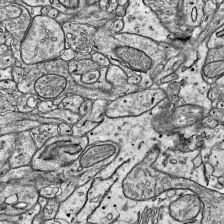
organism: Mouse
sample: Visual Cortex